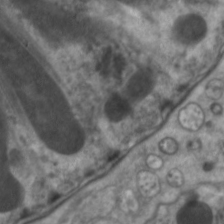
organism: C. elegans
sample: Pharynx